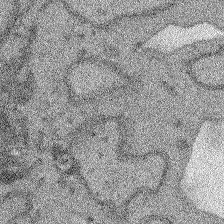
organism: Human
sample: HeLa cells